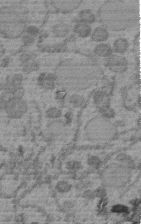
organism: C. elegans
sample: C. elegans embryo early stage